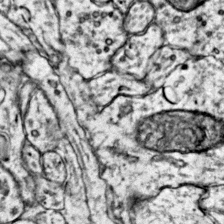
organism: Mouse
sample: Primary visual cortex